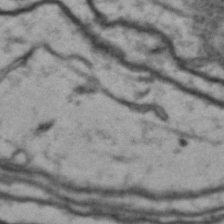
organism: Drosophila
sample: Brain